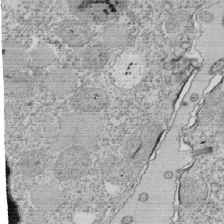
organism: Tetrahymena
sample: Cilia in tetrahymena